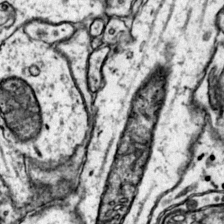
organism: Mouse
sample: Primary visual cortex